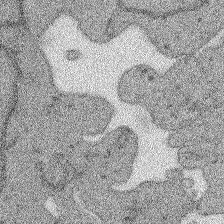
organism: Human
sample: HeLa cells